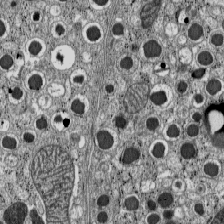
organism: C57BL Mouse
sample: Pancreatic islet